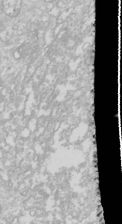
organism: Drosophila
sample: Cell division; meiosis; drosophila spermatocytes